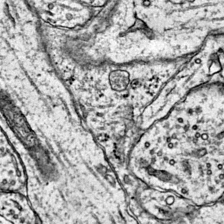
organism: Mouse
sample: Primary visual cortex